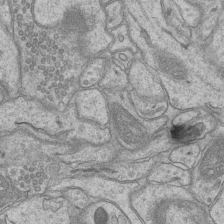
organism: Mouse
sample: CA1 Hippocampus